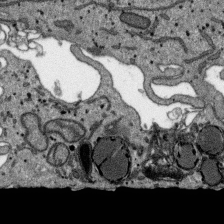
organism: Human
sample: Lung epithelial cells, uninfected (mock) control